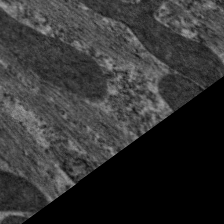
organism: C. elegans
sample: Pharynx